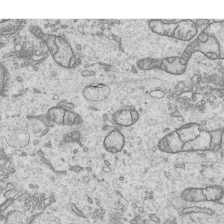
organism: Human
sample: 1205lu cells